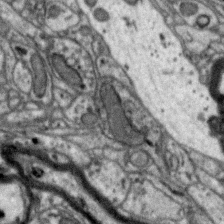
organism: Zebra finch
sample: Brain